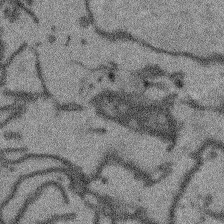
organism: Arabidopsis thaliana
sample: Root tip